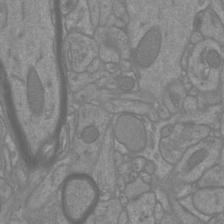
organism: Mouse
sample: Cortical neurons